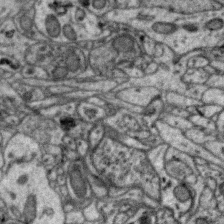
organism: Zebra finch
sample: Brain